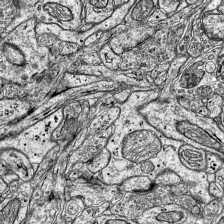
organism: Mouse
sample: Visual Cortex